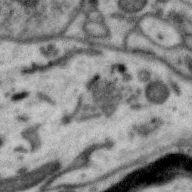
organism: Zebra finch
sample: Brain